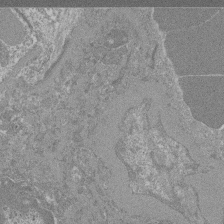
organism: Mouse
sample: Glomerulus